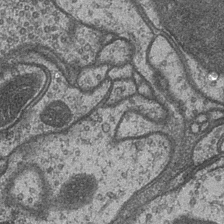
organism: Drosophila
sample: Optic medulla